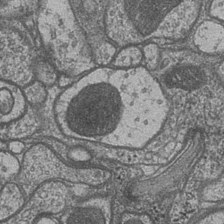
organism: Drosophila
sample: Optic medulla